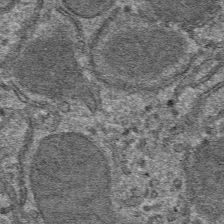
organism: Mouse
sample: Mouse hepatocytes